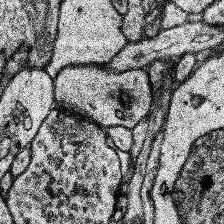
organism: Human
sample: Temporal Lobe